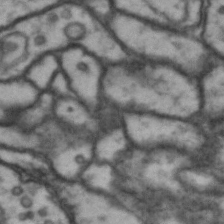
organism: Drosophila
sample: Brain